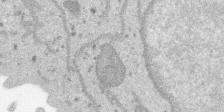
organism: Human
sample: Lung epithelial cells infected with SARS-CoV-2